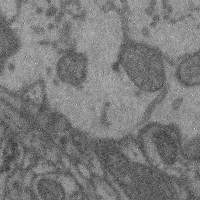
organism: Mouse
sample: Cerebral cortex